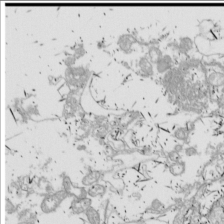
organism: Drosophila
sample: Cell division; meiosis; drosophila spermatocytes